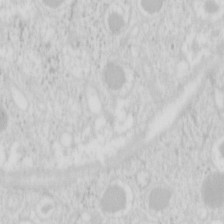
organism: Mouse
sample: Pancreas